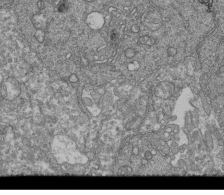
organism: Human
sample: Retinal organoid Rod and Cone cells